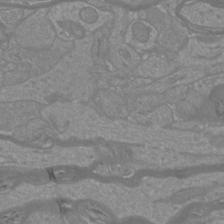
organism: Mouse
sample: Cortical neurons